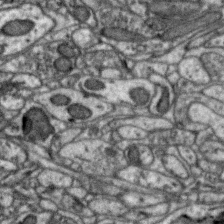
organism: Zebra finch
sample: Brain